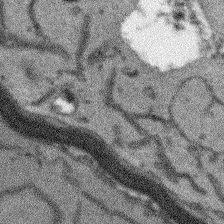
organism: Arabidopsis thaliana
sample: Root tip